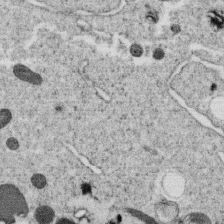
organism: C. elegans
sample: C. elegans oocyte; sperm cells